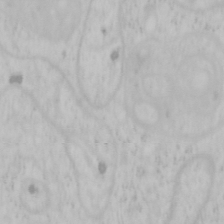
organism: Mouse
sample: OT-I killer T cells with ID8 ovarian cancer cells